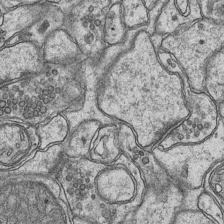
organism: Mouse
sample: CA1 Hippocampus